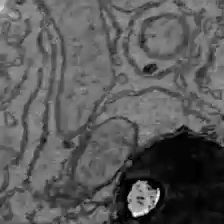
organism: C57BL Mouse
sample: Liver